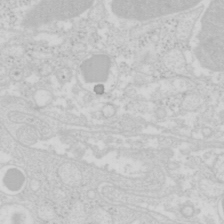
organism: Mouse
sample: Pancreas